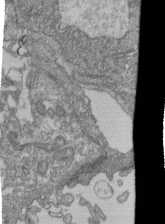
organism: Human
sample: Retinal organoid Rod and Cone cells